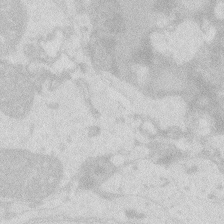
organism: Zebrafish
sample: Macrophage